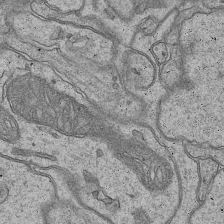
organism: Mouse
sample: CA1 Hippocampus